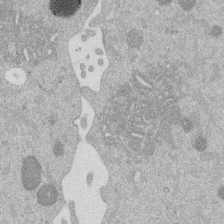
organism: Mouse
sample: Dividing mouse embryo 1 cell stage